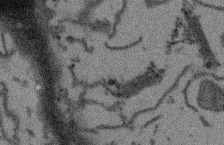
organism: Arabidopsis thaliana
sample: Root tip